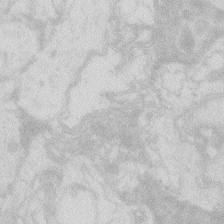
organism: Zebrafish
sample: Macrophage